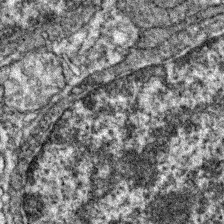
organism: Zebrafish